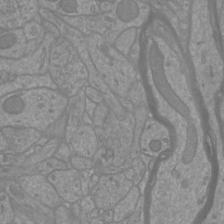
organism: Mouse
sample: Cortical neurons